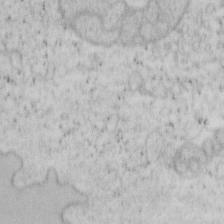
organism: Human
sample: HeLa cells